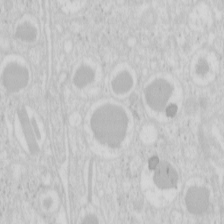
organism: Mouse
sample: Pancreas